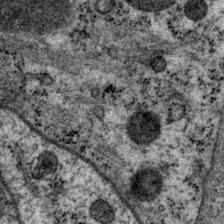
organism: P. pacificus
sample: Pharynx